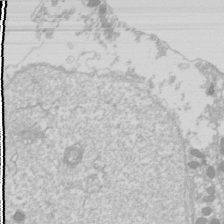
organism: Drosophila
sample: Cell division; meiosis; drosophila spermatocytes